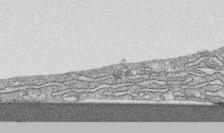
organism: Human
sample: CRL-1474